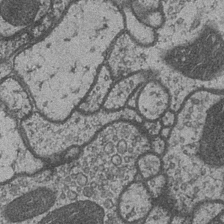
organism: Drosophila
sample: Optic medulla